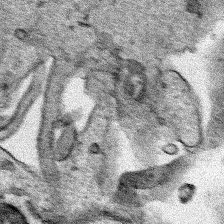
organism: Human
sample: Mitochondria in HCT116 cells